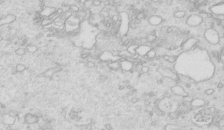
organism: Mouse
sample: Multiciliated cells